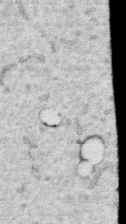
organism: Human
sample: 1205lu cells